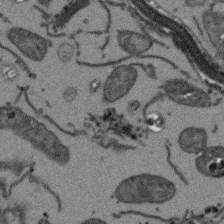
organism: Arabidopsis thaliana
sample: Root tip